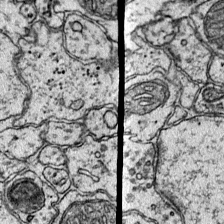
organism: Mouse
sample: Primary visual cortex